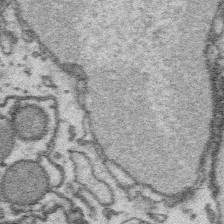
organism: Platynereis dumerilii